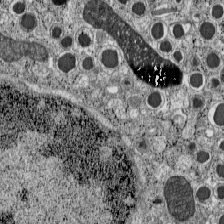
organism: C57BL Mouse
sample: Pancreatic islet